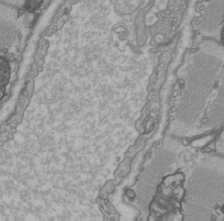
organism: C57BL Mouse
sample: Heart